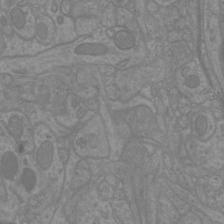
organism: Mouse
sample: Cortical neurons